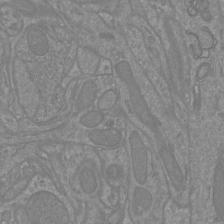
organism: Mouse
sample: Cortical neurons